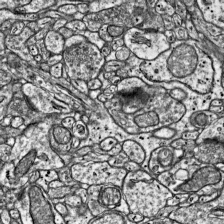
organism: Mouse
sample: Visual Cortex